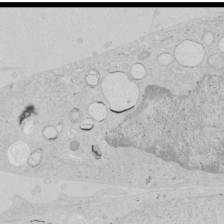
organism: Human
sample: Mitochondria in HCT116 cells